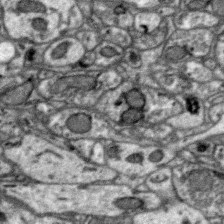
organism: Zebra finch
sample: Brain